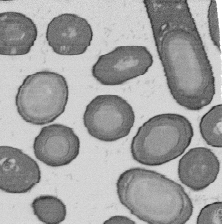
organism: B. subtilis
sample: Bacterial spore